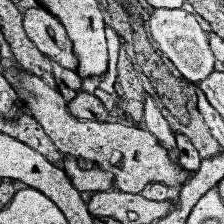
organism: Human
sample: Temporal Lobe